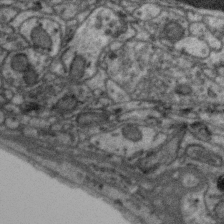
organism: Zebra finch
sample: Brain